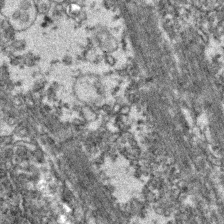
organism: Zebrafish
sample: Zebrafish embryo